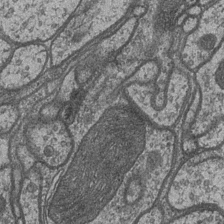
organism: Drosophila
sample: Optic medulla